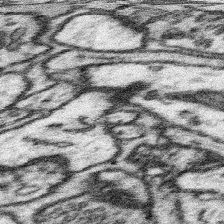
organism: Mouse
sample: Somatosensory cortex neuropil